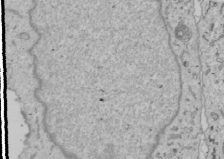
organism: Human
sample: Mitochondria in U2OS cells